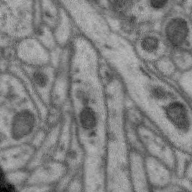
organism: Zebra finch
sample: Brain